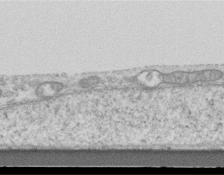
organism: Mouse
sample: Centriole in ependymal cells